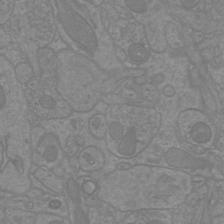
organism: Mouse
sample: Cortical neurons